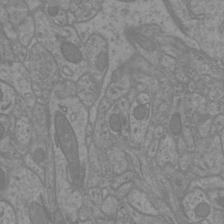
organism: Mouse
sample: Cortical neurons